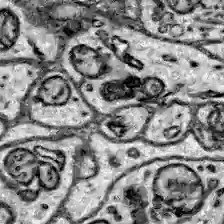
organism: Zebrafish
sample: Brain